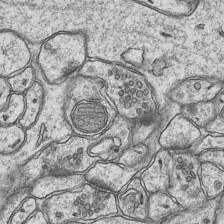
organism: Mouse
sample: CA1 Hippocampus